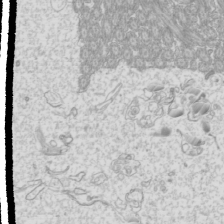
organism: Mouse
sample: Cilia; mouse epididymis